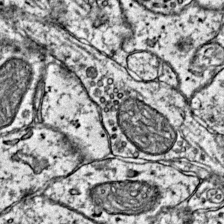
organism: Mouse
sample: Primary visual cortex